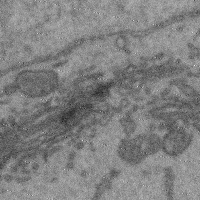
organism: Mouse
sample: Cerebral cortex